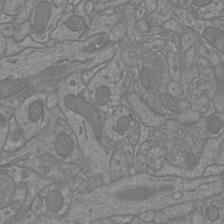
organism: Mouse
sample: Cortical neurons